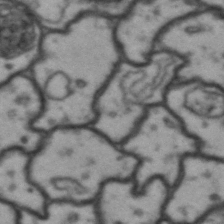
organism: Drosophila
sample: Brain